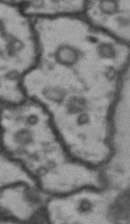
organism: Drosophila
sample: Brain